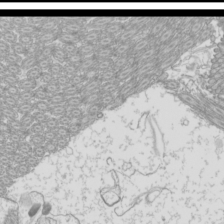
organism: Mouse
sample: Cilia; mouse epididymis